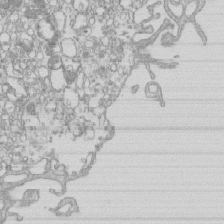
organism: Mouse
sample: Macrophages